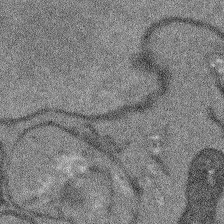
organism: Arabidopsis thaliana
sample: Root tip